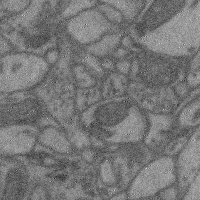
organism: Mouse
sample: Cerebral cortex